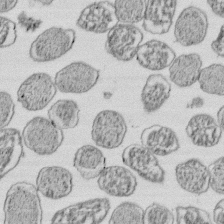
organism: E. coli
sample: Bacterial nucleoid